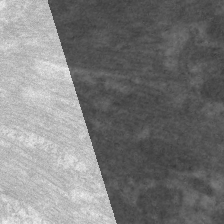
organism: C. elegans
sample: Pharynx